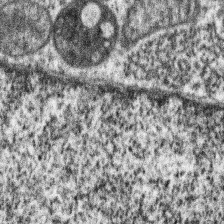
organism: Human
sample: HeLa cells